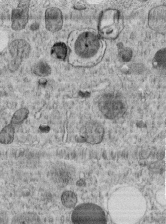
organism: C. elegans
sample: C. elegans embryo early stage